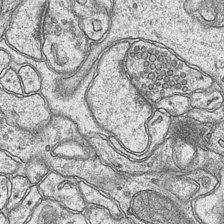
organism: Mouse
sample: CA1 Hippocampus